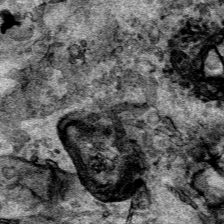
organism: Human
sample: Mitochondria in HCT116 cells